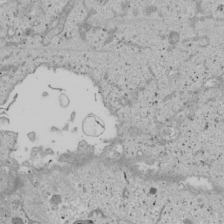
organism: Human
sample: Mitochondria in U2OS cells